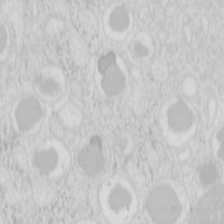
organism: Mouse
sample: Pancreas